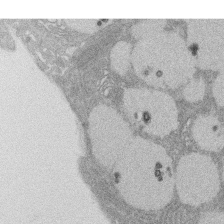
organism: Rat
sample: Salivary granule